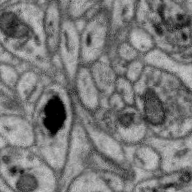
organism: Zebra finch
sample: Brain